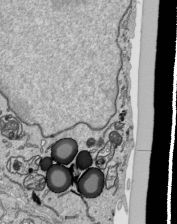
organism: Human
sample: Mitochondria in HCT116 cells